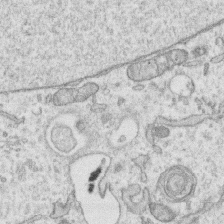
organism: Human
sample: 1205lu cells